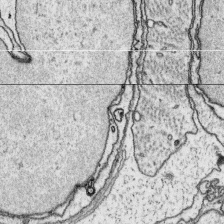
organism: Platynereis dumerilii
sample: Parapodia